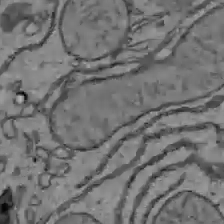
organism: C57BL Mouse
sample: Liver